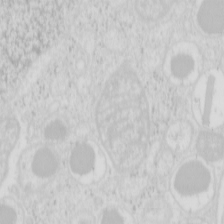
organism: Mouse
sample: Pancreas